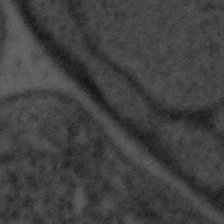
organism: Tuwongella immobilis